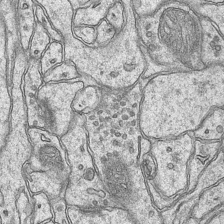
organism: Mouse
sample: CA1 Hippocampus